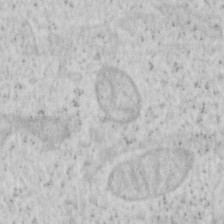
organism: Human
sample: HeLa cells